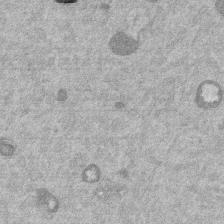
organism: Mouse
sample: Dividing mouse embryo 1 cell stage